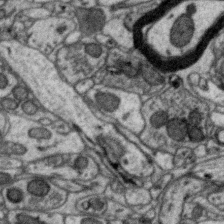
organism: Zebra finch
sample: Brain